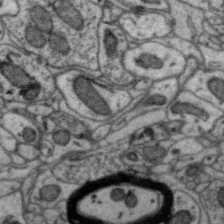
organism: Zebra finch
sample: Brain